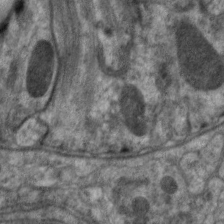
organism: C. elegans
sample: Pharynx